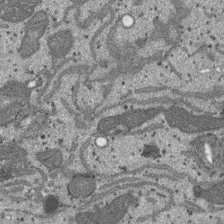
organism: Human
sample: Lung epithelial cells infected with SARS-CoV-2